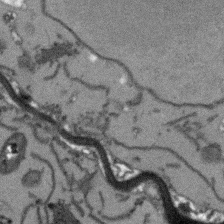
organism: Arabidopsis thaliana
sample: Root tip